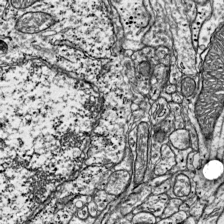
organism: Mouse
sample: Visual Cortex